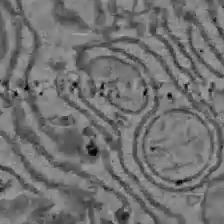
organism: C57BL Mouse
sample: Liver